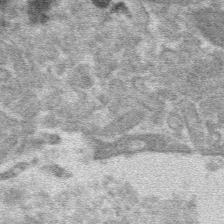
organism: Mouse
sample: Mouse hepatocytes